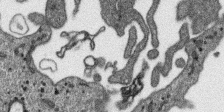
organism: Human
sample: Lung epithelial cells infected with SARS-CoV-2